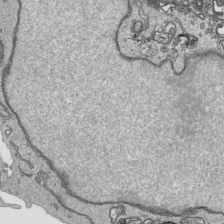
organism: Human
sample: Mitochondria in HCT116 cells